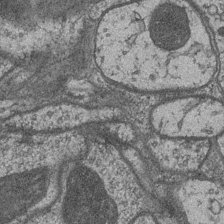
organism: Drosophila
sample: Optic medulla